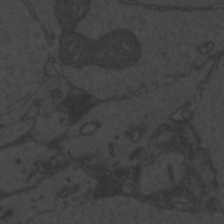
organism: Zebrafish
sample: Macrophage infected with Toxoplasma gondii